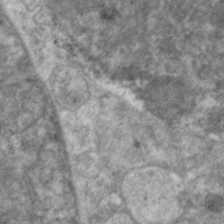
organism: C. elegans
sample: Pharynx